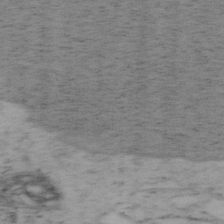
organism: Mouse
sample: OT-I killer T cells with ID8 ovarian cancer cells